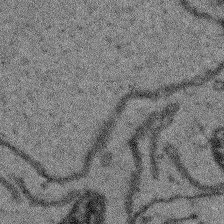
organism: Arabidopsis thaliana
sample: Root tip